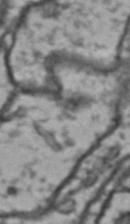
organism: Drosophila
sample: Brain